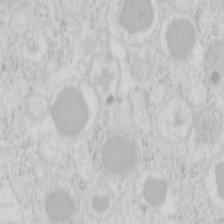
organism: Mouse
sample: Pancreas